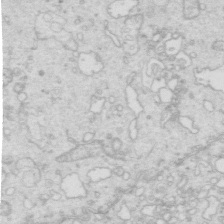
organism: Mouse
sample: Multiciliated cells